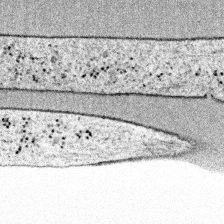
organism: Human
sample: HeLa cells